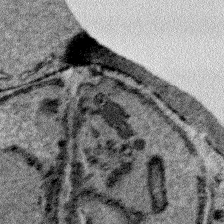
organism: Plasmodium falciparum